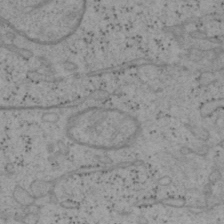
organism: Human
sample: HeLa cells